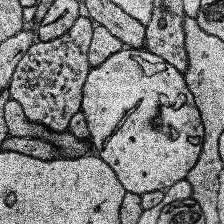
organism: Human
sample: Temporal Lobe